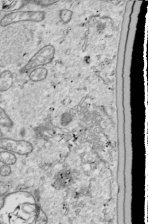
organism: Drosophila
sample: Cell division; meiosis; drosophila spermatocytes